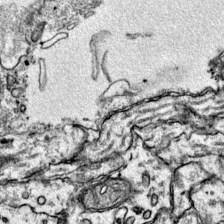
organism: Mouse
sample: Primary visual cortex